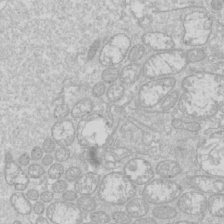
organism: Drosophila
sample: Cell division; meiosis; drosophila spermatocytes